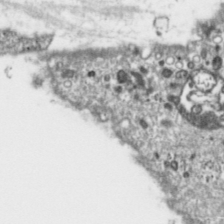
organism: Toxoplasma gondii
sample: Parasites in a vacuole inside a host cell